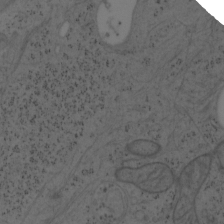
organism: Mouse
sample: OT-I killer T cells with ID8 ovarian cancer cells